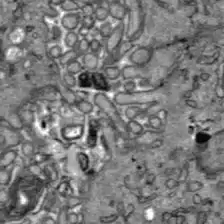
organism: C57BL Mouse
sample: Liver